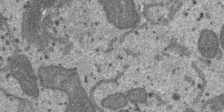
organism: Human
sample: Lung epithelial cells infected with SARS-CoV-2